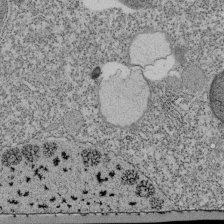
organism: Tetrahymena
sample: Cilia in tetrahymena